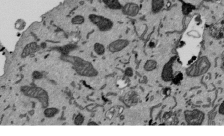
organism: Mouse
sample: ED-1 cell nuclei; centrioles